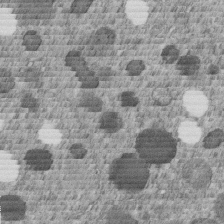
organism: C. elegans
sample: C. elegans embryo early stage